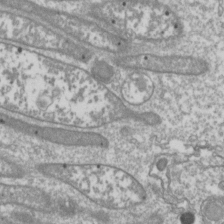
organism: Drosophila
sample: Cell division; meiosis; drosophila spermatocytes